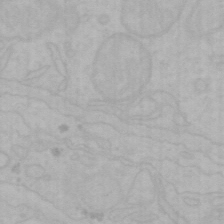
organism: Mouse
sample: Choroid plexus